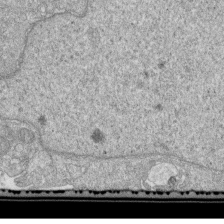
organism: Human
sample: HeLa cell HIV synapse